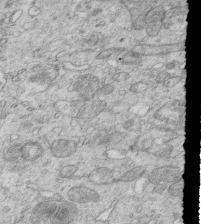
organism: Mouse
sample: Multiciliated cells